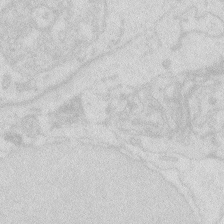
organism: Zebrafish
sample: Macrophage